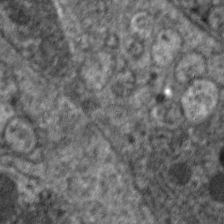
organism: C. elegans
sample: Pharynx